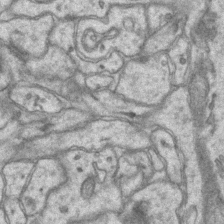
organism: Mouse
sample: CA1 Hippocampus